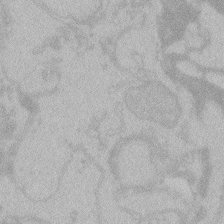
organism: Zebrafish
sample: Macrophage infected with Toxoplasma gondii